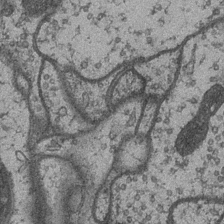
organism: Drosophila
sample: Optic medulla